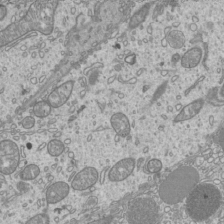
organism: Mouse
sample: Cilia; mouse epididymis